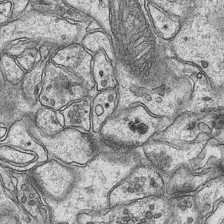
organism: Mouse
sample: CA1 Hippocampus